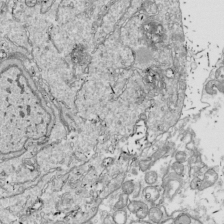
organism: Drosophila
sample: Cell division; meiosis; drosophila spermatocytes